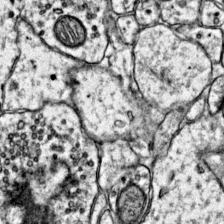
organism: Mouse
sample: Primary visual cortex